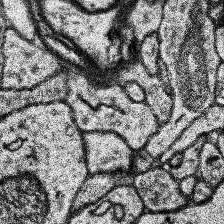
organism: Human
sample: Temporal Lobe